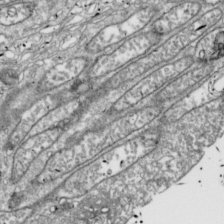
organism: Drosophila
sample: Cell division; meiosis; drosophila spermatocytes